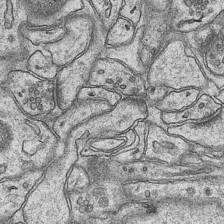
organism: Mouse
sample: CA1 Hippocampus